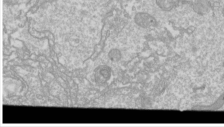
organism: Drosophila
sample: Cell division; meiosis; drosophila spermatocytes